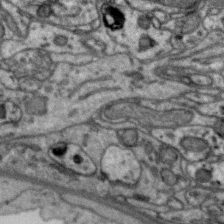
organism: Zebra finch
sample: Brain